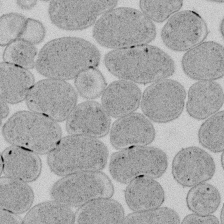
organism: E. coli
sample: Bacterial nucleoid